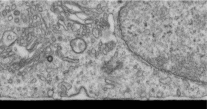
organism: Human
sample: Centriole in RPE cells